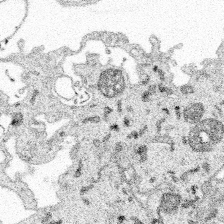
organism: Spongilla lacustris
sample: Multiple